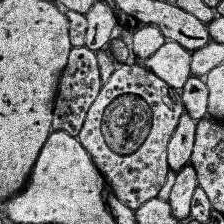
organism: Human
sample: Temporal Lobe